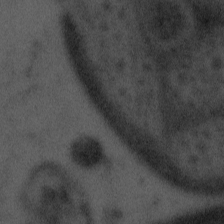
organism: Tuwongella immobilis